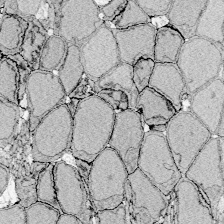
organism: Zebrafish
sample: Whole-Brain